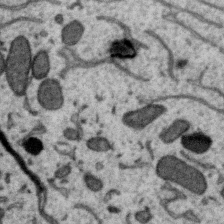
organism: Zebra finch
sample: Brain